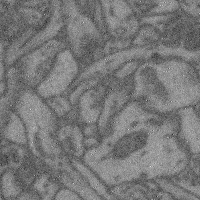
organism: Mouse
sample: Cerebral cortex